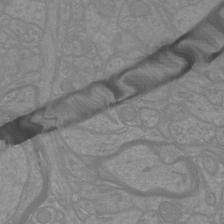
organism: Mouse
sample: Cortical neurons